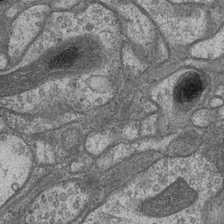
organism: Drosophila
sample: Optic medulla